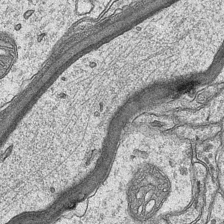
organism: Mouse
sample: CA1 Hippocampus